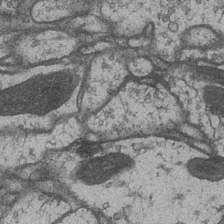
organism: Drosophila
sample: Optic medulla